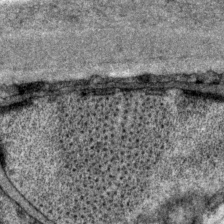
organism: P. pacificus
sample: Pharynx